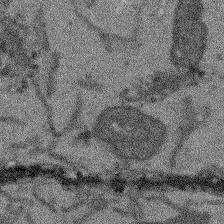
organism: Arabidopsis thaliana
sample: Root tip